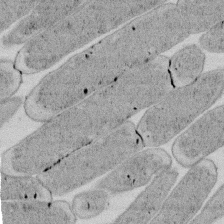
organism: E. coli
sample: Bacterial nucleoid